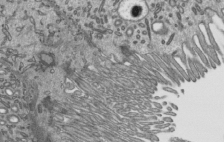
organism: Mouse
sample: Mouse epididymis efferent ductule cilia